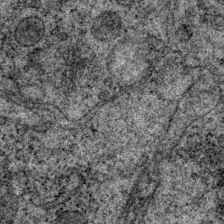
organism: P. pacificus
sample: Pharynx